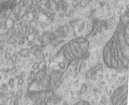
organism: Human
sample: Centriole in RPE cells